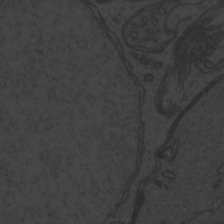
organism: Zebrafish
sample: Macrophage infected with Toxoplasma gondii